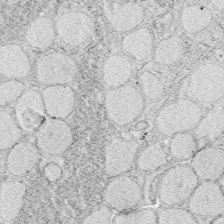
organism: Zebrafish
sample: Whole-Brain